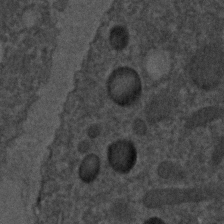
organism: C. elegans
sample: C. elegans embryo